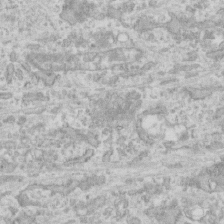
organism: Human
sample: CRL-1474